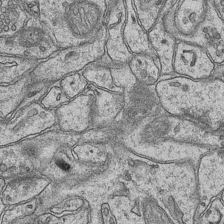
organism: Mouse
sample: CA1 Hippocampus